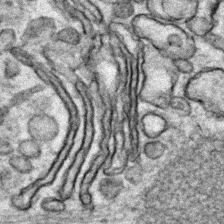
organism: Zebrafish